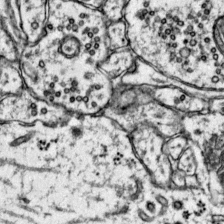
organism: Mouse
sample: Primary visual cortex